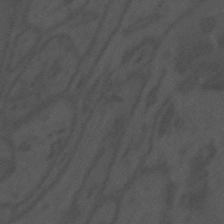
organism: Mouse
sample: Suprachiasmatic nucleus